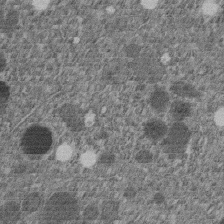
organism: C. elegans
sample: C. elegans embryo early stage